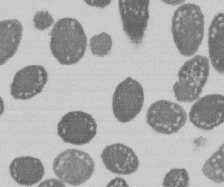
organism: E. coli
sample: Bacterial nucleoid